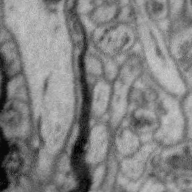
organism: Zebra finch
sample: Brain